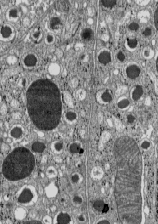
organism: C57BL Mouse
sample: Pancreatic islet